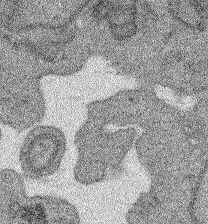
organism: Human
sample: HeLa cells